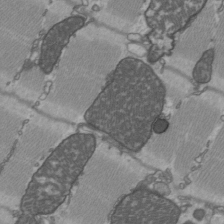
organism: C57BL Mouse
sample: Heart